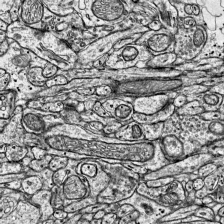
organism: Mouse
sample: Visual Cortex